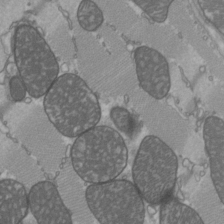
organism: C57BL Mouse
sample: Heart